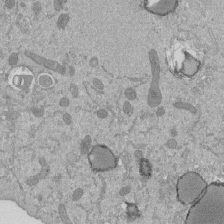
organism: Mouse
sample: ED-1 cell nuclei; centrioles